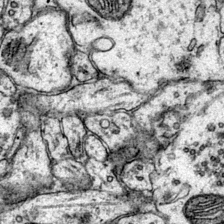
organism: Mouse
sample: Primary visual cortex